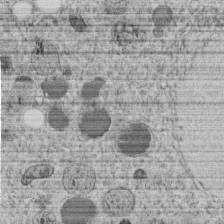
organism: C. elegans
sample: C. elegans embryo early stage